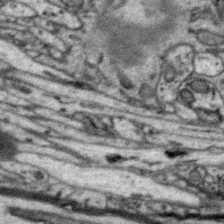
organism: Zebra finch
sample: Brain